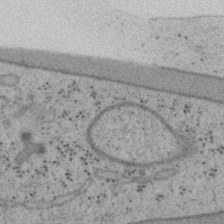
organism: Human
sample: HeLa cells